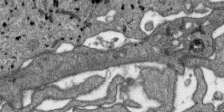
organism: Human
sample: Lung epithelial cells, uninfected (mock) control